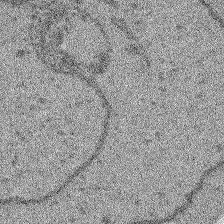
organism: Human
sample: HeLa cells